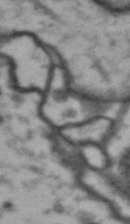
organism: Drosophila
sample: Brain